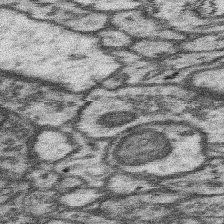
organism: Mouse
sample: Somatosensory cortex neuropil